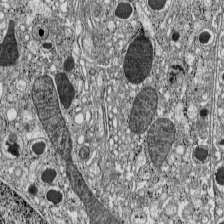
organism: C57BL Mouse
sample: Pancreatic islet